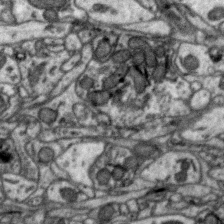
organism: Zebra finch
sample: Brain